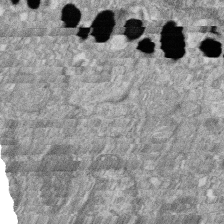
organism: Zebrafish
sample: Cilia; retinal pigment epithelium